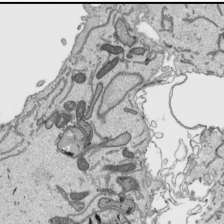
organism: Human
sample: Mitochondria in HCT116 cells